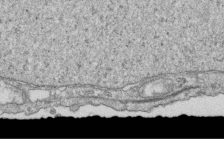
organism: Human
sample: HeLa cell HIV synapse